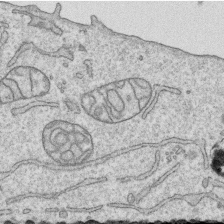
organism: Human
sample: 1205lu cells